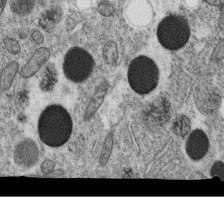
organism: C. elegans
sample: C. elegans oocyte; sperm cells